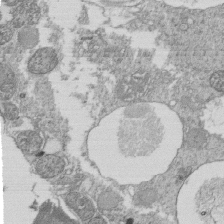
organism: Tetrahymena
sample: Cilia in tetrahymena